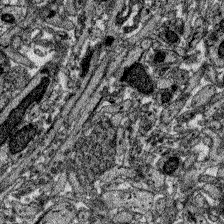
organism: Zebrafish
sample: Larval olfactory bulb